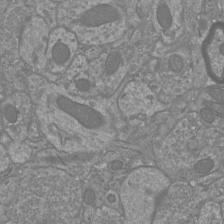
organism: Mouse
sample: Cortical neurons